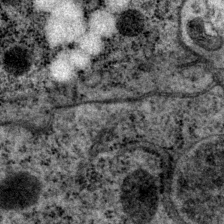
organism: P. pacificus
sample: Pharynx